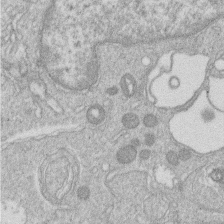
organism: Human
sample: Macrophage cells